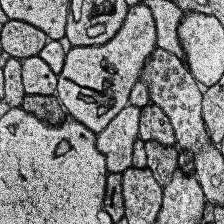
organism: Human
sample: Temporal Lobe